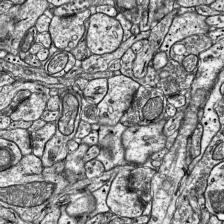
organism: Mouse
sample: Visual Cortex